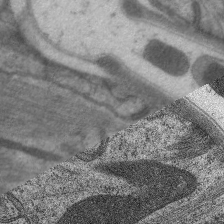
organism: C. elegans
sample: Pharynx